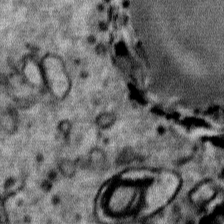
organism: Mouse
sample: Mouse Salivary gland